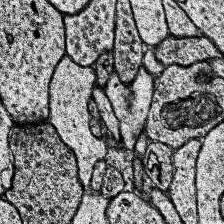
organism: Human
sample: Temporal Lobe